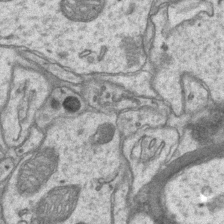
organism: Mouse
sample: CA1 Hippocampus